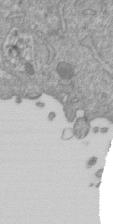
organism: Mouse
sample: ED-1 cell nuclei; centrioles